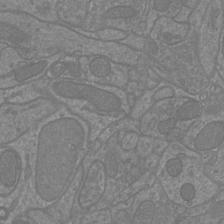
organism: Mouse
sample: Cortical neurons